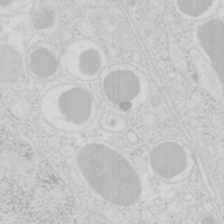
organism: Mouse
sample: Pancreas